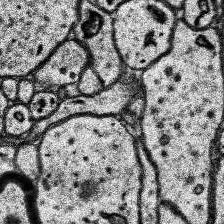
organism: Human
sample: Temporal Lobe